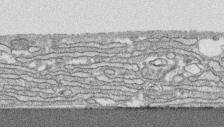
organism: Human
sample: CRL-1474